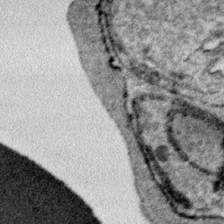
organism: Plasmodium falciparum